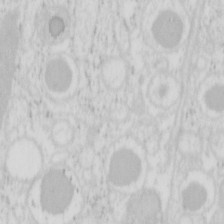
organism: Mouse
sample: Pancreas